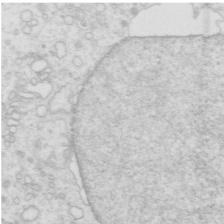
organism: Mouse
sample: Multiciliated cells